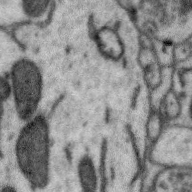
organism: Zebra finch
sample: Brain